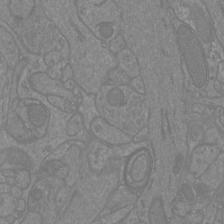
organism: Mouse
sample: Cortical neurons